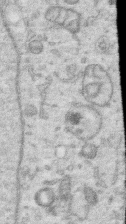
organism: Human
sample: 1205lu cells